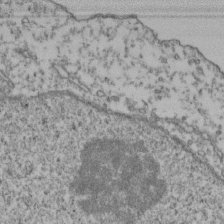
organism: Human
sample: Activated Jurkat CD4+ T cells